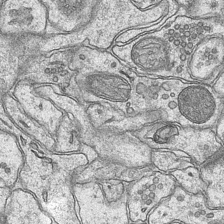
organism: Mouse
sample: CA1 Hippocampus